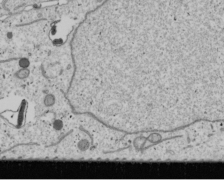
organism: Human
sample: Mitochondria in U2OS cells